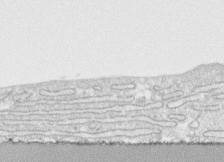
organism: Human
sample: CRL-1474